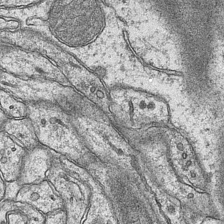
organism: Mouse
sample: CA1 Hippocampus